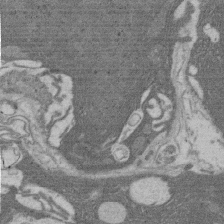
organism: Rat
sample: Salivary granule